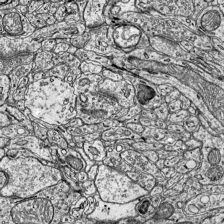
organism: Mouse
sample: Visual Cortex